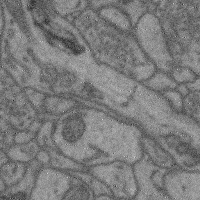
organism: Mouse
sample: Cerebral cortex